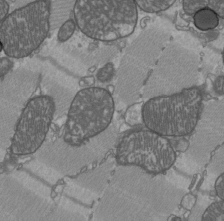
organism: C57BL Mouse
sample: Heart